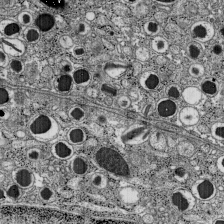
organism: C57BL Mouse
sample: Pancreatic islet